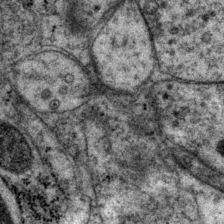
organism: P. pacificus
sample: Pharynx